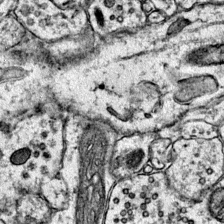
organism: Mouse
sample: Primary visual cortex